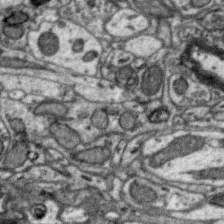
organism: Zebra finch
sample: Brain